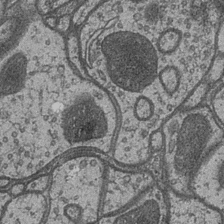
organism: Drosophila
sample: Optic medulla